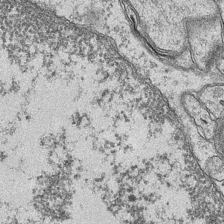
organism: Mouse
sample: CA1 Hippocampus